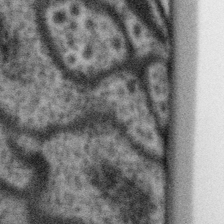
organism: Gemmata obscuriglobus